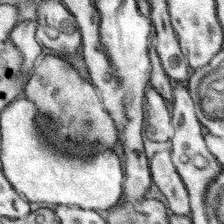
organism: Mouse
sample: Somatosensory cortex neuropil